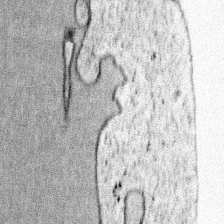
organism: Human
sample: HeLa cells